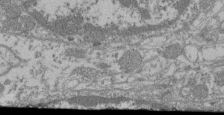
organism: Mouse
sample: Glomerulus